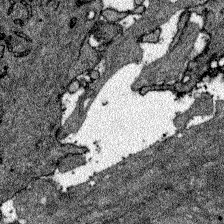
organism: Zebrafish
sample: Larval olfactory bulb